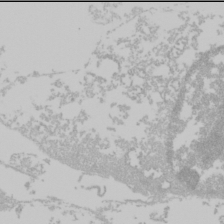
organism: Mouse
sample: Cancer cell death in ED-1 cells